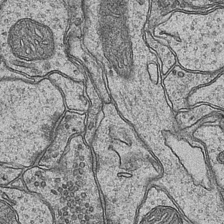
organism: Mouse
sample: CA1 Hippocampus